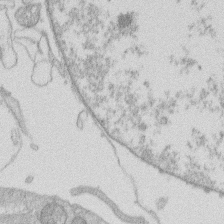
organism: Human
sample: Macrophage cells